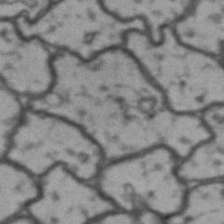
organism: Drosophila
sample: Brain